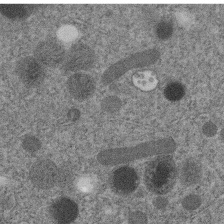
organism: C. elegans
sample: C. elegans embryo early stage